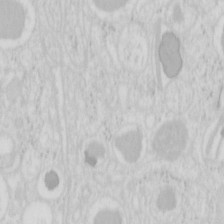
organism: Mouse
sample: Pancreas